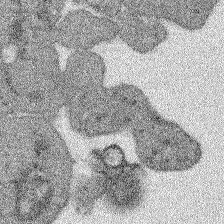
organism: Human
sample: HeLa cells